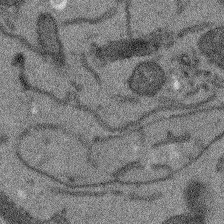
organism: Arabidopsis thaliana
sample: Root tip